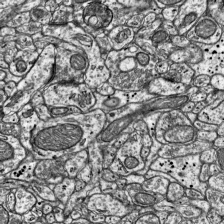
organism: Mouse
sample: Visual Cortex